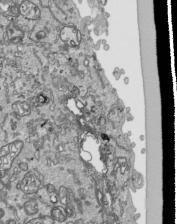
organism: Human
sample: Mitochondria in HCT116 cells